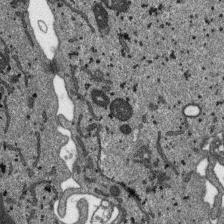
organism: Human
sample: Lung epithelial cells infected with SARS-CoV-2